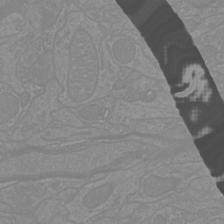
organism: Mouse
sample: Cortical neurons